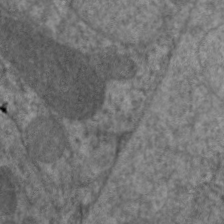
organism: C. elegans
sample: Pharynx